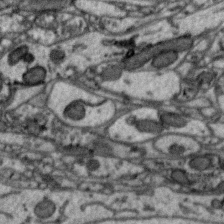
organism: Zebra finch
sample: Brain